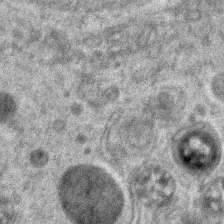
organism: Zebrafish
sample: Zebrafish embryo